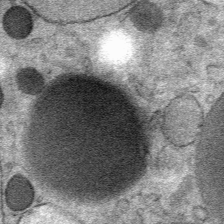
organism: Mouse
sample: Mouse Salivary gland